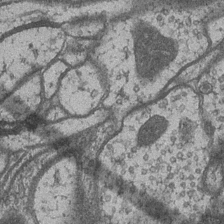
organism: Drosophila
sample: Optic medulla